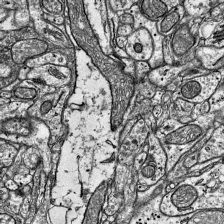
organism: Mouse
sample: Visual Cortex